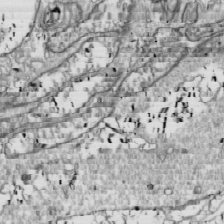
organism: Drosophila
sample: Cell division; meiosis; drosophila spermatocytes